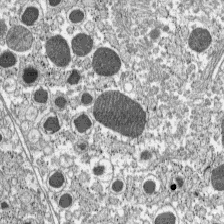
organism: C57BL Mouse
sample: Pancreatic islet